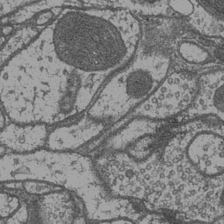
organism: Drosophila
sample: Optic medulla